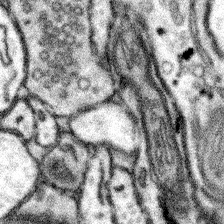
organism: Mouse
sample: Somatosensory cortex neuropil